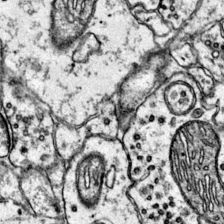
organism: Mouse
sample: Primary visual cortex